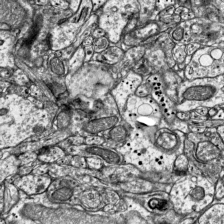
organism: Mouse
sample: Visual Cortex